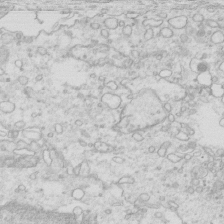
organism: Mouse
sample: Multiciliated cells